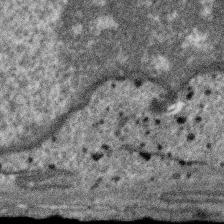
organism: Human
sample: Lung epithelial cells infected with SARS-CoV-2